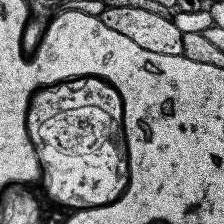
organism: Human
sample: Temporal Lobe